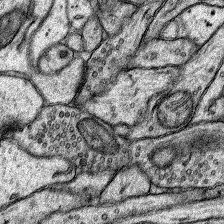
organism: Rat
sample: Hippocampus